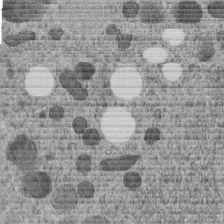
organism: C. elegans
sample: C. elegans embryo early stage